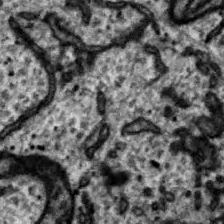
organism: Human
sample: HeLa cells